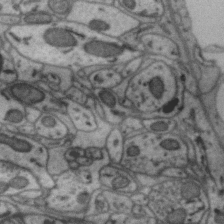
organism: Zebra finch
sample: Brain